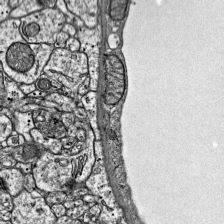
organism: Mouse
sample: Visual Cortex